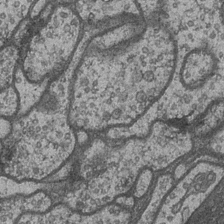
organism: Drosophila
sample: Optic medulla